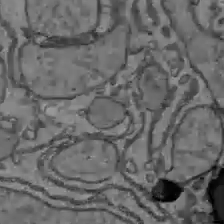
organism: C57BL Mouse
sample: Liver